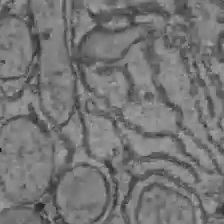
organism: C57BL Mouse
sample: Liver